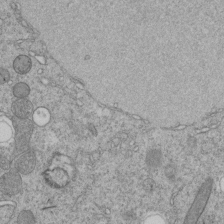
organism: C. elegans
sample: C. elegans embryo early stage